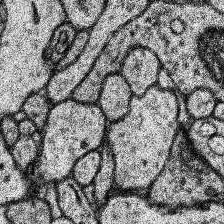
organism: Human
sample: Temporal Lobe